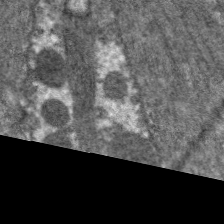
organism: C. elegans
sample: Pharynx